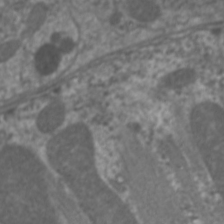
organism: C. elegans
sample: Pharynx